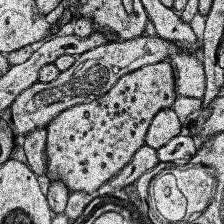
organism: Human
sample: Temporal Lobe